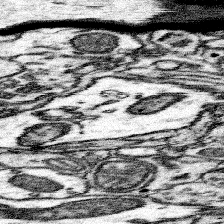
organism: Mouse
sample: Somatosensory cortex neuropil